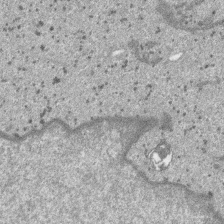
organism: Human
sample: Lung epithelial cells infected with SARS-CoV-2